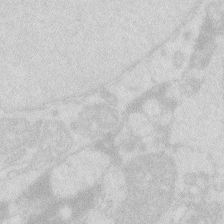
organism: Zebrafish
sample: Macrophage